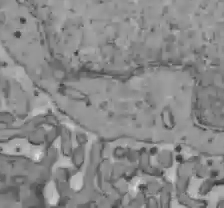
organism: C57BL Mouse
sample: Liver